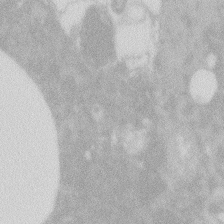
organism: Zebrafish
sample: Macrophage